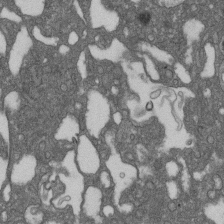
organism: Drosophila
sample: Nephrocyte